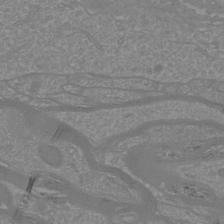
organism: Mouse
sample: Cortical neurons